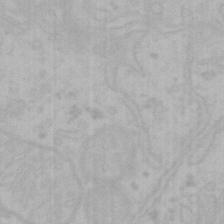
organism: Mouse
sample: Choroid plexus